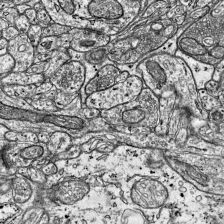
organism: Mouse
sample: Visual Cortex